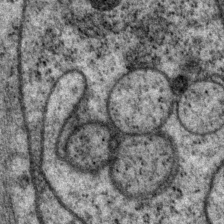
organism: P. pacificus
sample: Pharynx